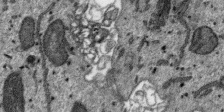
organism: Human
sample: Lung epithelial cells, uninfected (mock) control